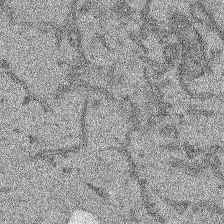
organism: Human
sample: HeLa cells